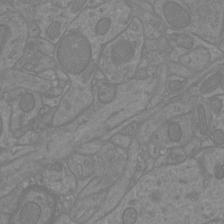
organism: Mouse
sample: Cortical neurons